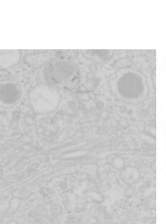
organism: Mouse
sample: Pancreas